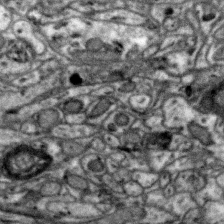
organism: Zebra finch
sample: Brain